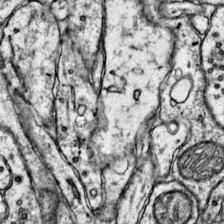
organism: Mouse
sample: Primary visual cortex